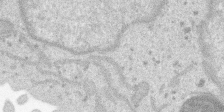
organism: Human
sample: Lung epithelial cells infected with SARS-CoV-2